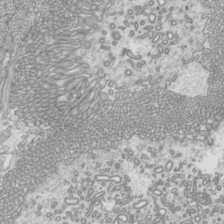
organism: Mouse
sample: Cilia; mouse epididymis